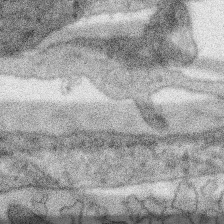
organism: Human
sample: Lung epithelial cells infected with SARS-CoV-2